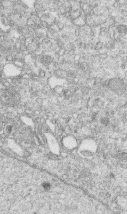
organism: Human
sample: HeLa cell HIV synapse